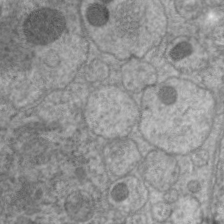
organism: C. elegans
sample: Pharynx